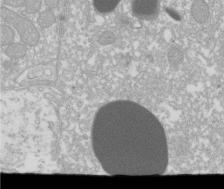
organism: Xenopus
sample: Cilia; centrioles in frog embryo cells